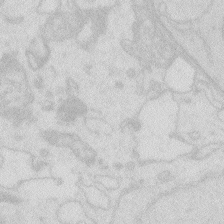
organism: Zebrafish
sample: Macrophage